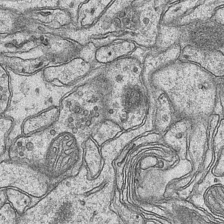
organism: Mouse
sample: CA1 Hippocampus